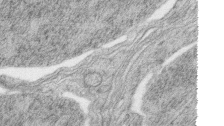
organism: Zebrafish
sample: synaptic ribbons in rod cells and cone cells